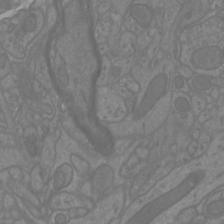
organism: Mouse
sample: Cortical neurons